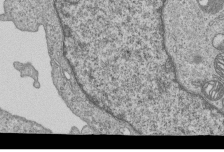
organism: Human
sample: MDA-MB-231 cells